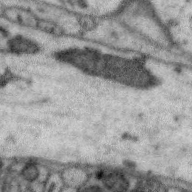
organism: Zebra finch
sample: Brain